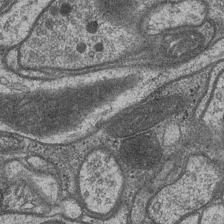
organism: Drosophila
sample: Optic medulla